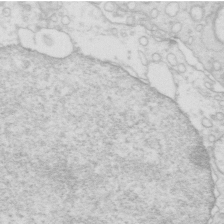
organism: Mouse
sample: Multiciliated cells